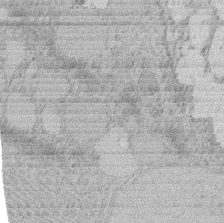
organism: Rat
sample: Salivary granule